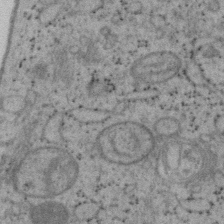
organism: Human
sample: HeLa cells